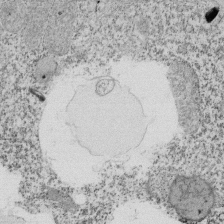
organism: Tetrahymena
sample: Cilia in tetrahymena